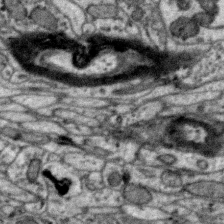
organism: Zebra finch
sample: Brain